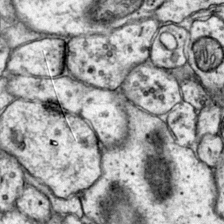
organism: Mouse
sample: Primary visual cortex